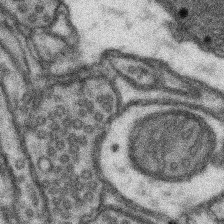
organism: Mouse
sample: Somatosensory cortex neuropil